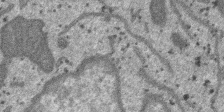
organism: Human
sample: Lung epithelial cells infected with SARS-CoV-2